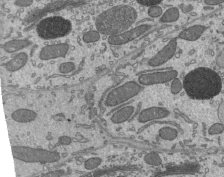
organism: Mouse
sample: Mouse epididymis efferent ductule cilia